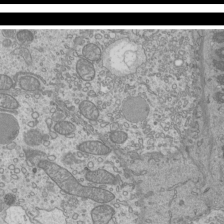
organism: Mouse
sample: Cilia; mouse epididymis